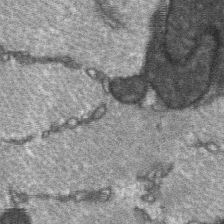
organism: C57BL Mouse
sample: Soleus